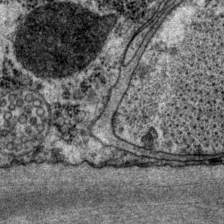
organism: P. pacificus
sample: Pharynx